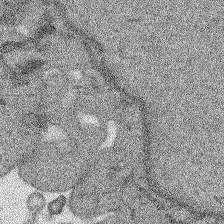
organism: Human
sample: HeLa cells